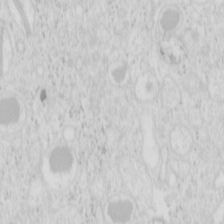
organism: Mouse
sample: Pancreas